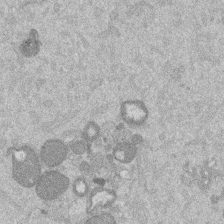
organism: Mouse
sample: Dividing mouse embryo 1 cell stage